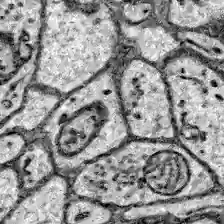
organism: Zebrafish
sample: Brain